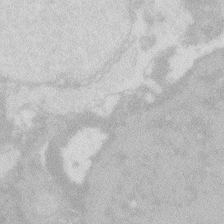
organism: Zebrafish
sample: Macrophage